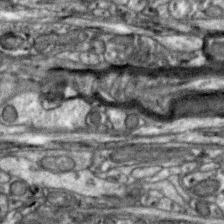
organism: Zebra finch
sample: Brain